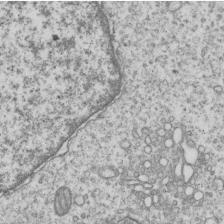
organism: Human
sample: MDA-MB-231 cells